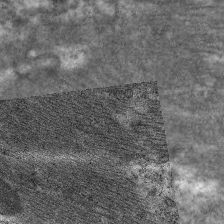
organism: C. elegans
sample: Pharynx